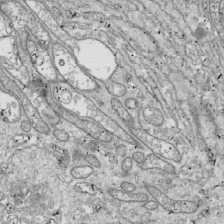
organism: Drosophila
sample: Cell division; meiosis; drosophila spermatocytes